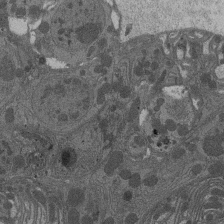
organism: Drosophila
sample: Antenna